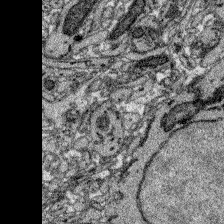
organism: Zebrafish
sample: Larval olfactory bulb